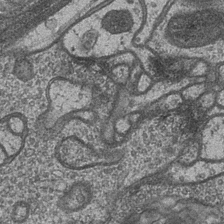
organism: Drosophila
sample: Optic medulla